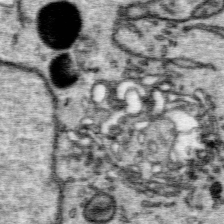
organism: Human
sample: HeLa cells